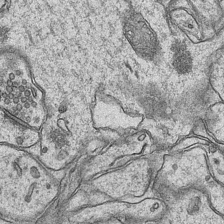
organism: Mouse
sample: CA1 Hippocampus